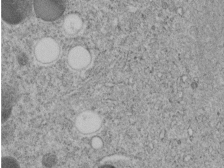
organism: C. elegans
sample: C. elegans embryo early stage